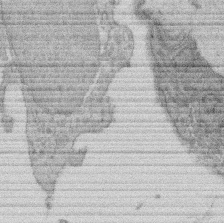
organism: Rat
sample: Salivary granule